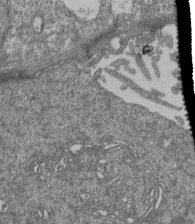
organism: Human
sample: Retinal organoid Rod and Cone cells